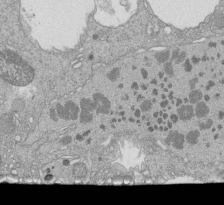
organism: Tetrahymena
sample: Cilia in tetrahymena